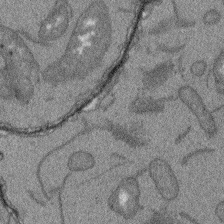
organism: Arabidopsis thaliana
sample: Root tip